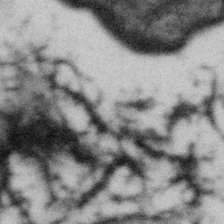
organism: Gemmata obscuriglobus